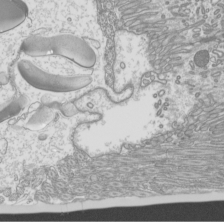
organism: Mouse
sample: Cilia; mouse epididymis